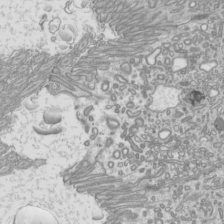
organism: Mouse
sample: Cilia; mouse epididymis